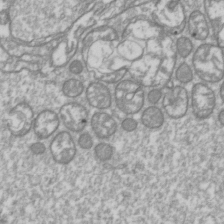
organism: Drosophila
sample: Cell division; meiosis; drosophila spermatocytes